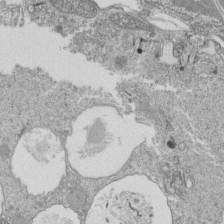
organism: Tetrahymena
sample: Cilia in tetrahymena